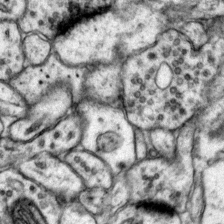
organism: Mouse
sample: Primary visual cortex